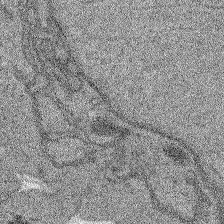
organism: Human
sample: HeLa cells